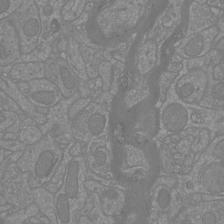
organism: Mouse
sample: Cortical neurons